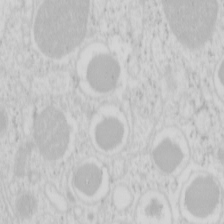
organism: Mouse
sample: Pancreas